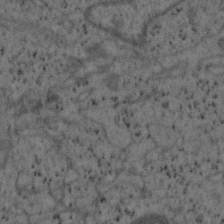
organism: Human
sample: HeLa cells